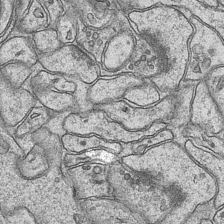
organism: Mouse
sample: CA1 Hippocampus